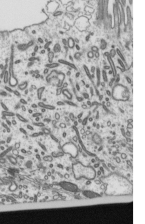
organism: Mouse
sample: Mouse epididymis efferent ductule cilia